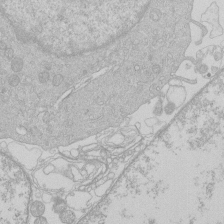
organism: Human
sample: Macrophage cells